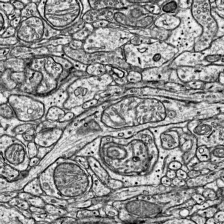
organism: Mouse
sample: Visual Cortex